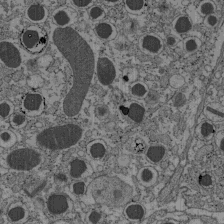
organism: C57BL Mouse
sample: Pancreatic islet